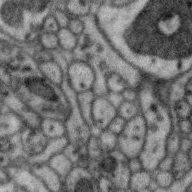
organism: Zebra finch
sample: Brain